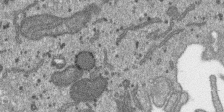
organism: Human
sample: Lung epithelial cells infected with SARS-CoV-2